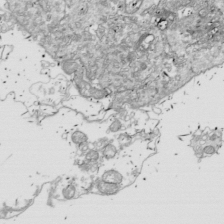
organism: Drosophila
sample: Cell division; meiosis; drosophila spermatocytes